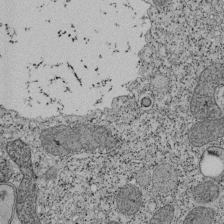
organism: Tetrahymena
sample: Cilia in tetrahymena